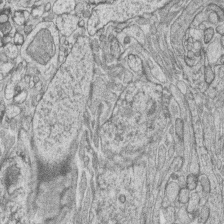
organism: Zebrafish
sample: synaptic ribbons in rod cells and cone cells